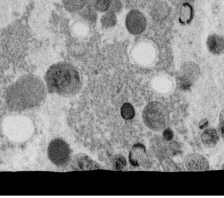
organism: C. elegans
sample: C. elegans oocyte; sperm cells